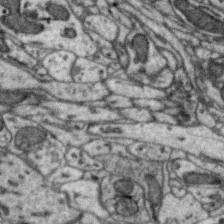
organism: Zebra finch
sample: Brain